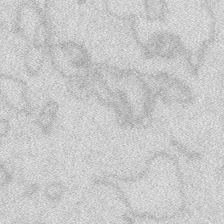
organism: Zebrafish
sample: Macrophage